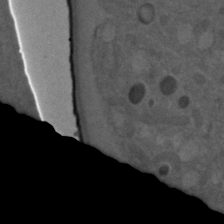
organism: C. elegans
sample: C. elegans embryo